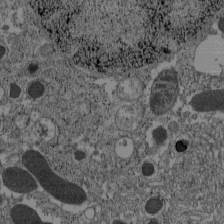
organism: C57BL Mouse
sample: Pancreatic islet